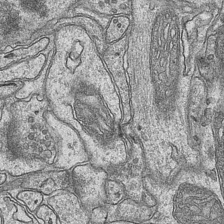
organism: Mouse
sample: CA1 Hippocampus